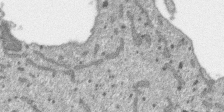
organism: Human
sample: Lung epithelial cells infected with SARS-CoV-2